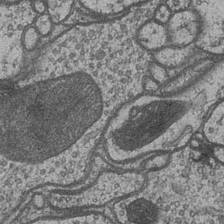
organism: Drosophila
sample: Optic medulla